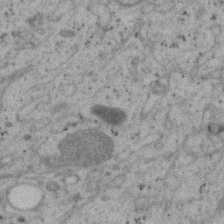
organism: Human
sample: HeLa cells